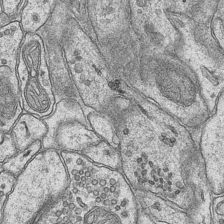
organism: Mouse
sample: CA1 Hippocampus